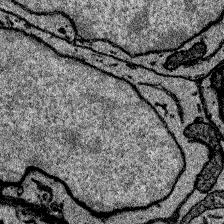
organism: Zebrafish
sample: Larval olfactory bulb